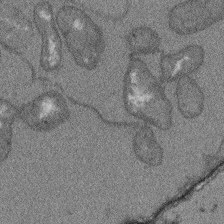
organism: Arabidopsis thaliana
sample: Root tip